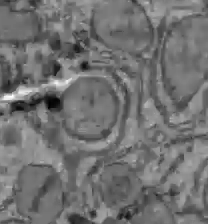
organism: C57BL Mouse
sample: Liver